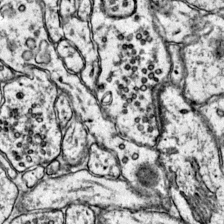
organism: Mouse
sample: Primary visual cortex